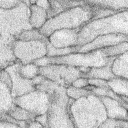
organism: Rabbit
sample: Retina